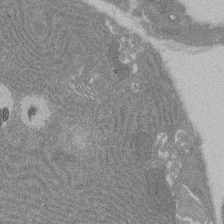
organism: Rat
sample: Salivary granule